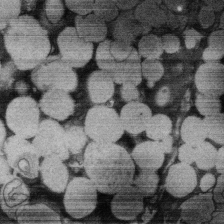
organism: Rat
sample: Salivary granule